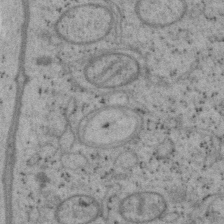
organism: Human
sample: HeLa cells